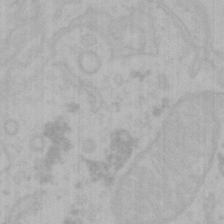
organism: Mouse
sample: Choroid plexus